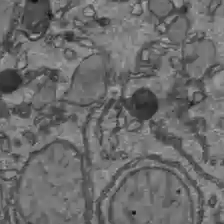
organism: C57BL Mouse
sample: Liver